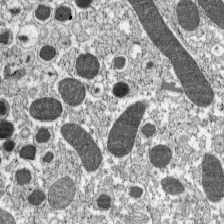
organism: C57BL Mouse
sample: Pancreatic islet